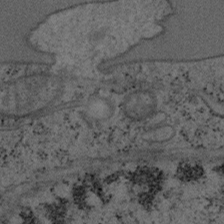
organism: Human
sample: HeLa cells